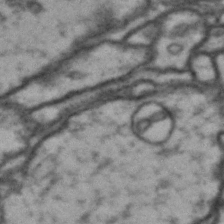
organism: Drosophila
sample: Brain